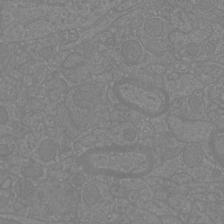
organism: Mouse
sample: Cortical neurons